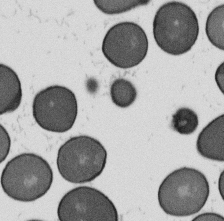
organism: B. subtilis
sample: Bacterial spore